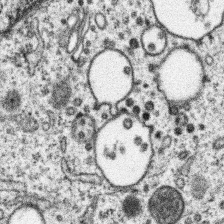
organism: Human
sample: HeLa cells